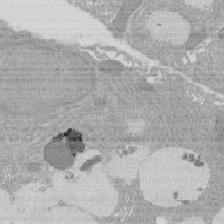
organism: Rat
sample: Salivary granule